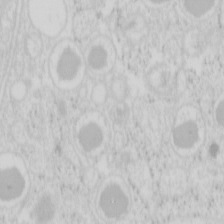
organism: Mouse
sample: Pancreas